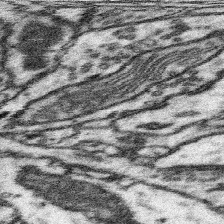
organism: Mouse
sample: Somatosensory cortex neuropil